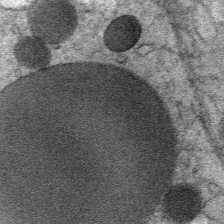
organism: Mouse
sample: Mouse Salivary gland